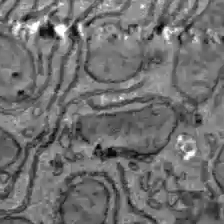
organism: C57BL Mouse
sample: Liver